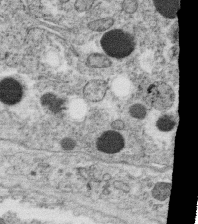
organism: C. elegans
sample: C. elegans oocyte; sperm cells